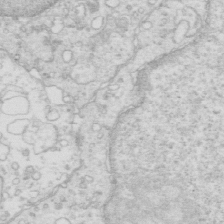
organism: Mouse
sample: Multiciliated cells